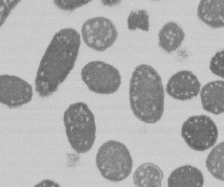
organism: E. coli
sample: Bacterial nucleoid